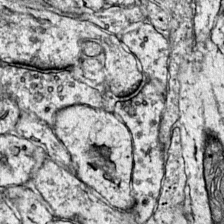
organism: Mouse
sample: Primary visual cortex